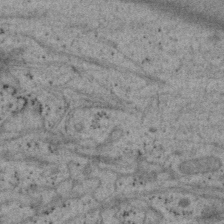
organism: Human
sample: HeLa cells